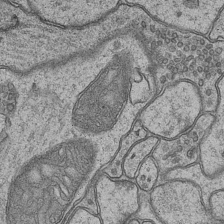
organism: Mouse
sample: CA1 Hippocampus